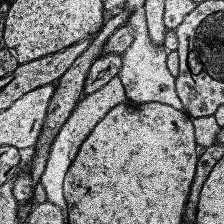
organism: Human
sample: Temporal Lobe